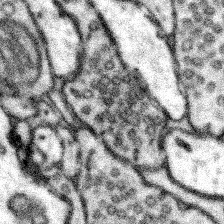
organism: Mouse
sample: Somatosensory cortex neuropil